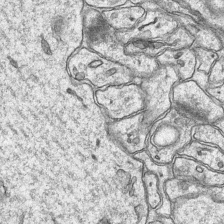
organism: Mouse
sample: CA1 Hippocampus